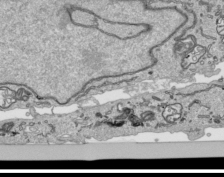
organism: Human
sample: Mitochondria in HCT116 cells